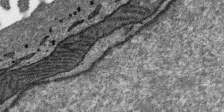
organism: Human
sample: Lung epithelial cells, uninfected (mock) control